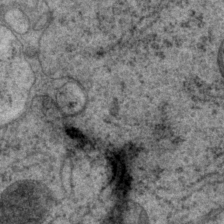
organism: P. pacificus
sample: Pharynx